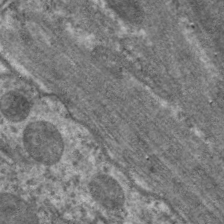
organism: C. elegans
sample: Pharynx